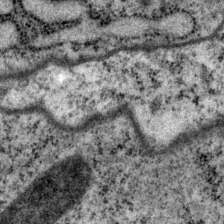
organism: P. pacificus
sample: Pharynx